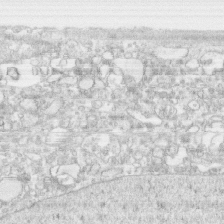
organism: Human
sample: CRL-1474